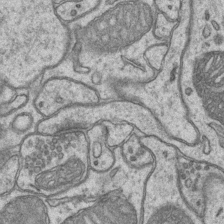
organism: Mouse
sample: CA1 Hippocampus